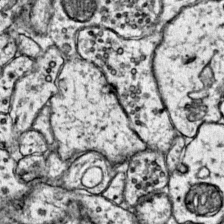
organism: Mouse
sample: Primary visual cortex